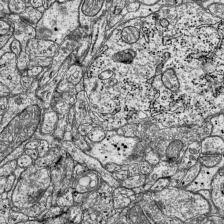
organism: Mouse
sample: Visual Cortex